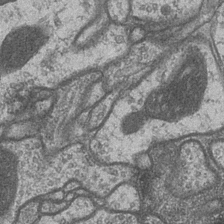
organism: Drosophila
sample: Optic medulla